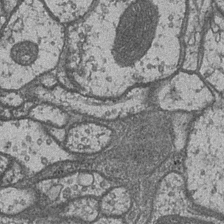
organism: Drosophila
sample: Optic medulla